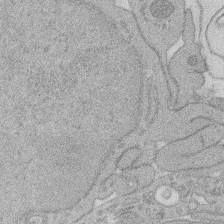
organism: Rat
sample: Salivary granule